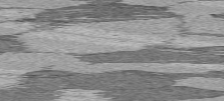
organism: C57BL Mouse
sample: Heart